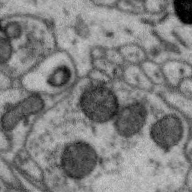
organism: Zebra finch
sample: Brain